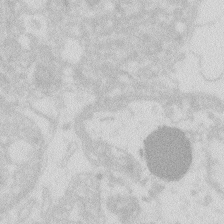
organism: Zebrafish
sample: Macrophage